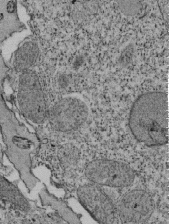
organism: Tetrahymena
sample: Cilia in tetrahymena